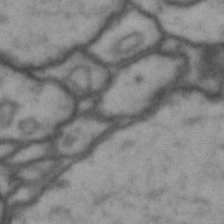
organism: Drosophila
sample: Brain